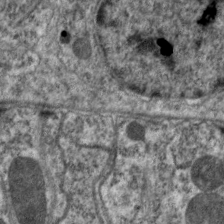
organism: C. elegans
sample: Pharynx